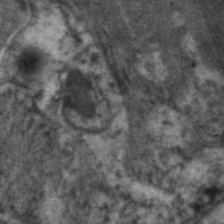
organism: C. elegans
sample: Pharynx